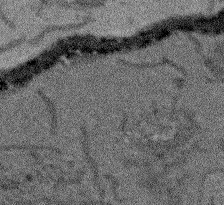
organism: Arabidopsis thaliana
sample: Root tip